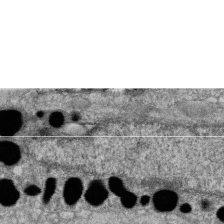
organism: Zebrafish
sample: Cilia; retinal pigment epithelium